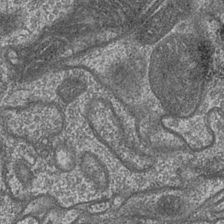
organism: Drosophila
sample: Optic medulla